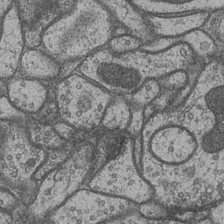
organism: Drosophila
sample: Optic medulla